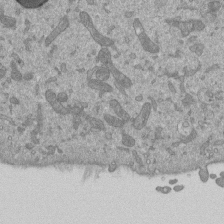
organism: Mouse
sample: ED-1 cell nuclei; centrioles